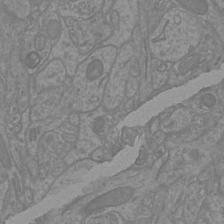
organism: Mouse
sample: Cortical neurons